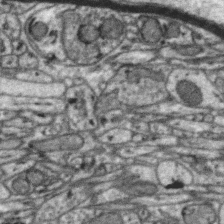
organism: Zebra finch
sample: Brain